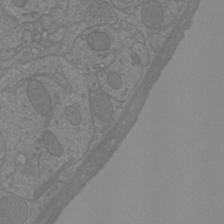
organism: Mouse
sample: Cortical neurons